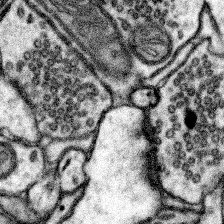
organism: Mouse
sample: Somatosensory cortex neuropil